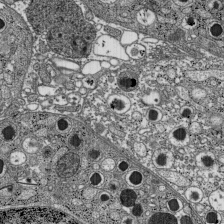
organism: C57BL Mouse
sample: Pancreatic islet